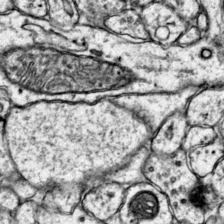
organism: Mouse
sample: Primary visual cortex